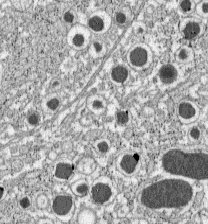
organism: C57BL Mouse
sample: Pancreatic islet